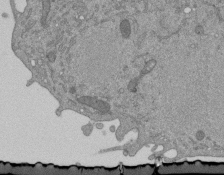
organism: Mouse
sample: ED-1 cell nuclei; centrioles